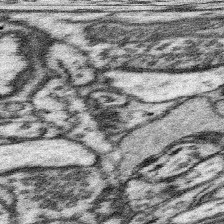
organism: Mouse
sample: Somatosensory cortex neuropil